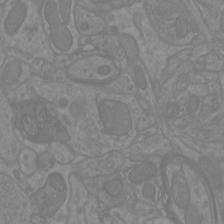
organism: Mouse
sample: Cortical neurons